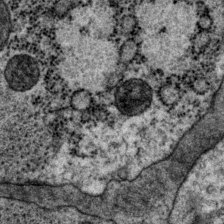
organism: P. pacificus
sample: Pharynx